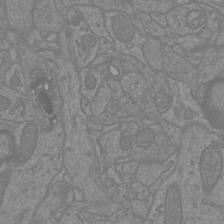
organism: Mouse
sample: Cortical neurons